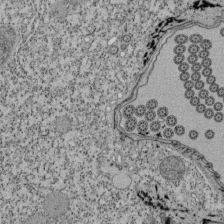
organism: Tetrahymena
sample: Cilia in tetrahymena